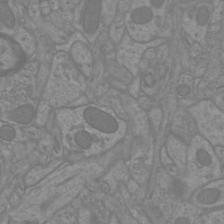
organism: Mouse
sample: Cortical neurons